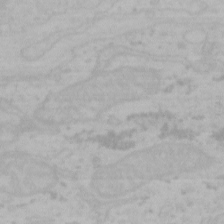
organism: Mouse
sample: Choroid plexus